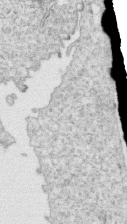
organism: Human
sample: HeLa cell HIV synapse